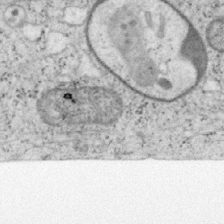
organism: Mouse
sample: OT-I killer T cells with ID8 ovarian cancer cells